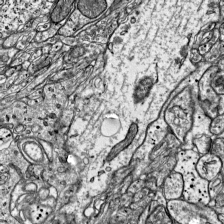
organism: Mouse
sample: Visual Cortex